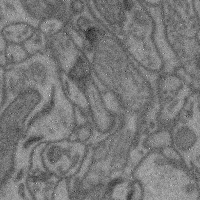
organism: Mouse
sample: Cerebral cortex